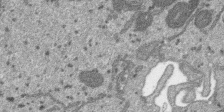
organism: Human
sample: Lung epithelial cells infected with SARS-CoV-2